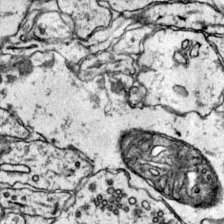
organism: Mouse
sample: Primary visual cortex